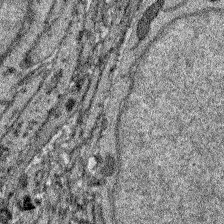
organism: Zebrafish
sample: Larval olfactory bulb